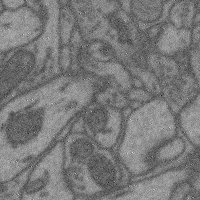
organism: Mouse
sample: Cerebral cortex